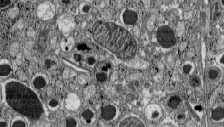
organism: C57BL Mouse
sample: Pancreatic islet